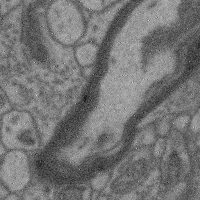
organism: Mouse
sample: Cerebral cortex